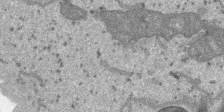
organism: Human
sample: Lung epithelial cells infected with SARS-CoV-2